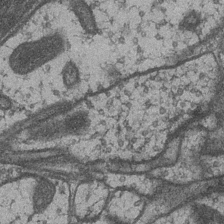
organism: Drosophila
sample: Optic medulla